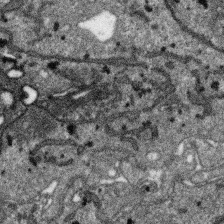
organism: Human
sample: Lung epithelial cells infected with SARS-CoV-2